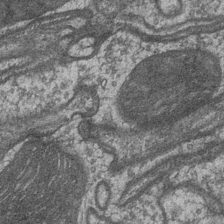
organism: Drosophila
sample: Optic medulla